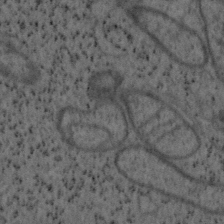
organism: Human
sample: HeLa cells